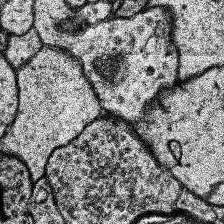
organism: Human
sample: Temporal Lobe